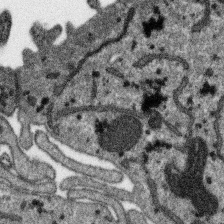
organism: Human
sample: Lung epithelial cells infected with SARS-CoV-2